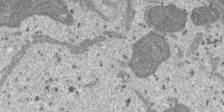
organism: Human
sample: Lung epithelial cells infected with SARS-CoV-2